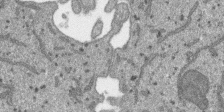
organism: Human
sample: Lung epithelial cells infected with SARS-CoV-2